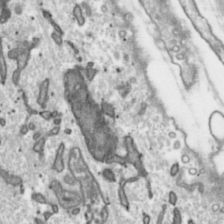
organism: Toxoplasma gondii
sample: Parasites in a vacuole inside a host cell